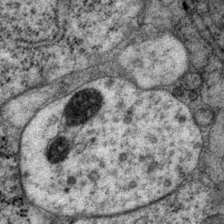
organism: P. pacificus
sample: Pharynx